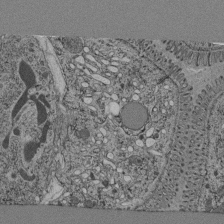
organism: C. elegans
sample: C. elegans pharynx